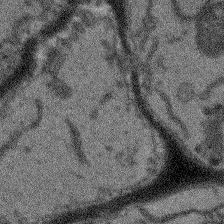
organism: Arabidopsis thaliana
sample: Root tip